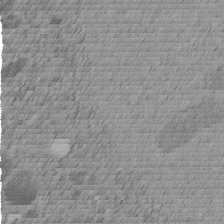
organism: C. elegans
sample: C. elegans embryo early stage